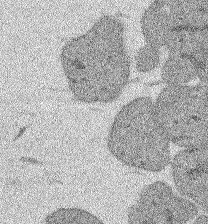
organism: Human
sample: HeLa cells